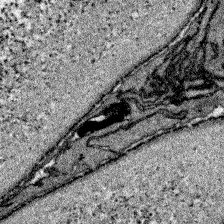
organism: Zebrafish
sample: Larval olfactory bulb